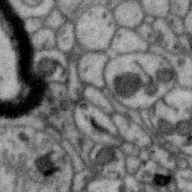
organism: Zebra finch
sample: Brain